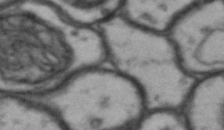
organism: Drosophila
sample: Brain